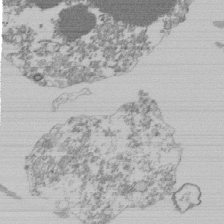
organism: Mouse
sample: Activated Pmel transgenic CD8+ T Cells